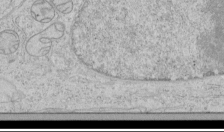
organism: Human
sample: Mitochondria in HCT116 cells